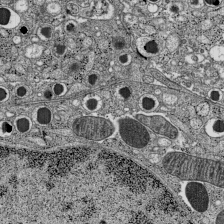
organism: C57BL Mouse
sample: Pancreatic islet